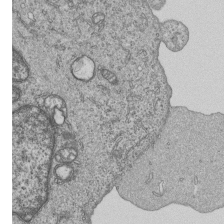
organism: Human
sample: MDA-MB-231 cells